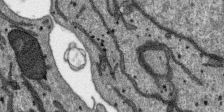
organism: Human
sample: Lung epithelial cells, uninfected (mock) control